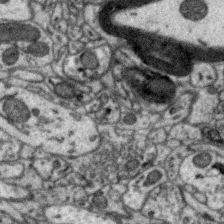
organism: Zebra finch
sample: Brain